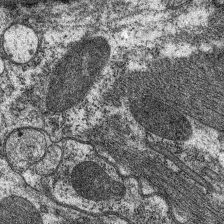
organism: C. elegans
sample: Pharynx